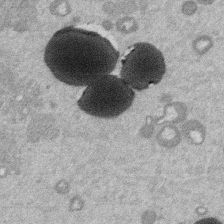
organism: Mouse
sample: Dividing mouse embryo 1 cell stage